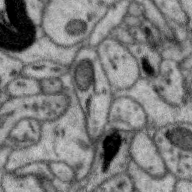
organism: Zebra finch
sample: Brain